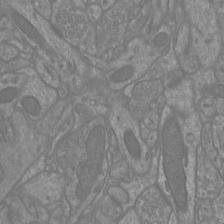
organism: Mouse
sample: Cortical neurons